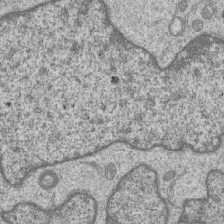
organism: Human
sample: MDA-MB-231 cells